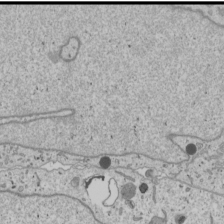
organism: Human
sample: Mitochondria in U2OS cells